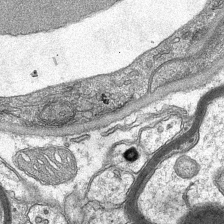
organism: Mouse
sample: CA1 Hippocampus